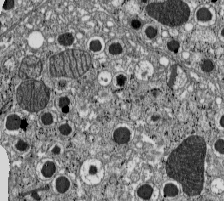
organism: C57BL Mouse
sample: Pancreatic islet